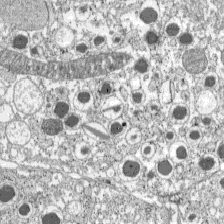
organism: C57BL Mouse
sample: Pancreatic islet